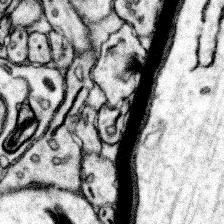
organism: Mouse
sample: Somatosensory cortex neuropil